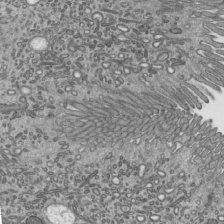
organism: Mouse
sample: Mouse epididymis efferent ductule cilia